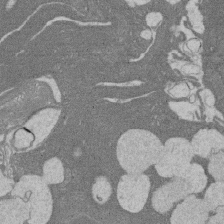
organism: Rat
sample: Salivary granule